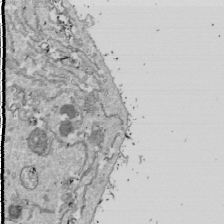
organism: Drosophila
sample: Cell division; meiosis; drosophila spermatocytes